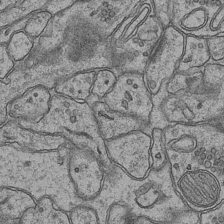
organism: Mouse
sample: CA1 Hippocampus